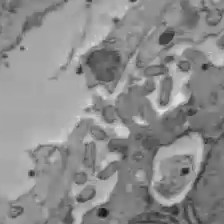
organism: C57BL Mouse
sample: Liver